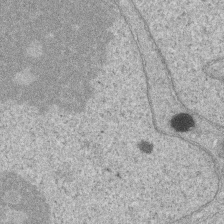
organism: Human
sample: HeLa cell HIV synapse